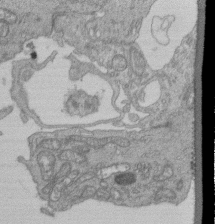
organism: Human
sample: Retinal organoid Rod and Cone cells